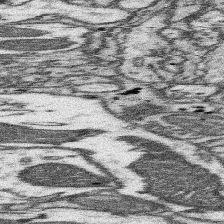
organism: Mouse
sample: Somatosensory cortex neuropil